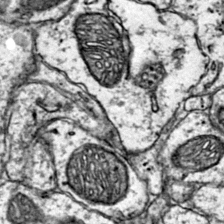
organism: Mouse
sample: Primary visual cortex